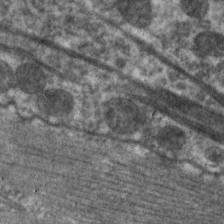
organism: C. elegans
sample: Pharynx